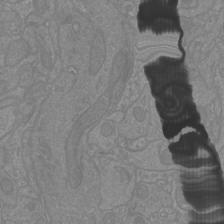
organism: Mouse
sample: Cortical neurons